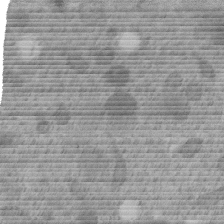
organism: C. elegans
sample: C. elegans embryo early stage